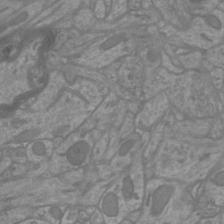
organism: Mouse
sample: Cortical neurons